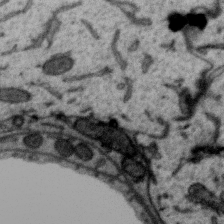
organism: Zebra finch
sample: Brain